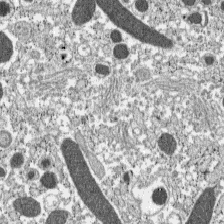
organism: C57BL Mouse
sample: Pancreatic islet